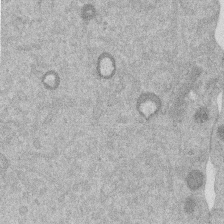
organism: Mouse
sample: Dividing mouse embryo 1 cell stage